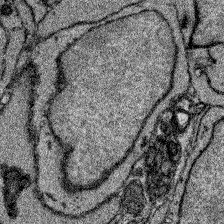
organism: Zebrafish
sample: Larval olfactory bulb